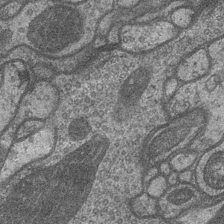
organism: Drosophila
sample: Optic medulla